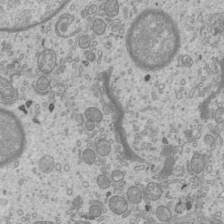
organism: Mouse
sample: Cilia; mouse epididymis